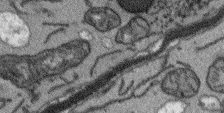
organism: Arabidopsis thaliana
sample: Root tip